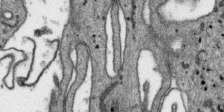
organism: Human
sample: Lung epithelial cells, uninfected (mock) control